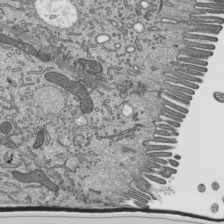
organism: Mouse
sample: Mouse epididymis efferent ductule cilia